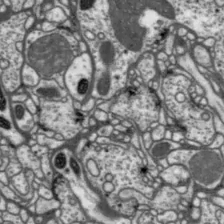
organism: Drosophila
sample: Protocerebral bridge